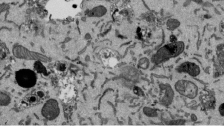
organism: Mouse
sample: ED-1 cell nuclei; centrioles